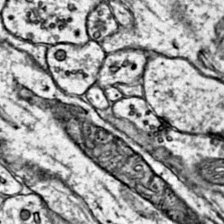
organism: Mouse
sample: Primary visual cortex